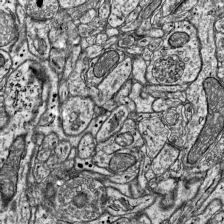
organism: Mouse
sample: Visual Cortex